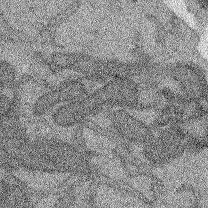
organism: Human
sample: HeLa cells